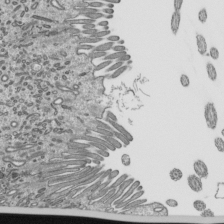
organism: Mouse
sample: Mouse epididymis efferent ductule cilia